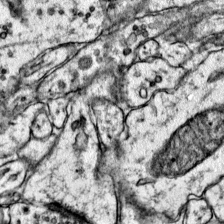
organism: Mouse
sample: Primary visual cortex